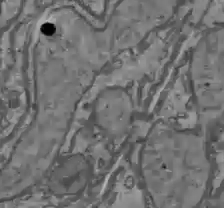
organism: C57BL Mouse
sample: Liver